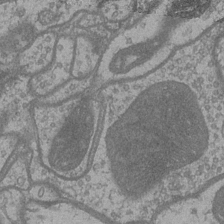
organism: Drosophila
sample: Optic medulla